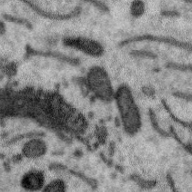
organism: Zebra finch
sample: Brain